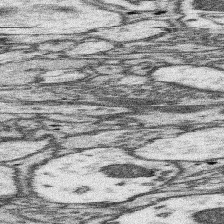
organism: Mouse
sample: Somatosensory cortex neuropil